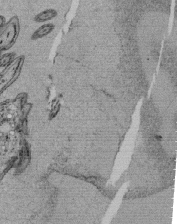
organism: Tetrahymena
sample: Cilia in tetrahymena